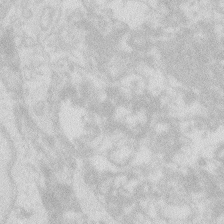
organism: Zebrafish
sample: Macrophage